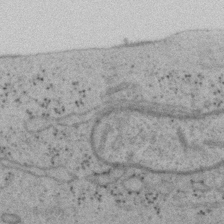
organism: Human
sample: HeLa cells